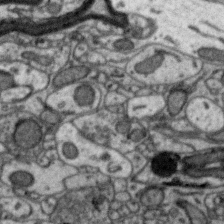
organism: Zebra finch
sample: Brain